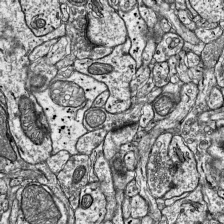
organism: Mouse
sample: Visual Cortex